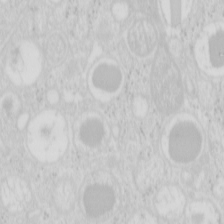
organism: Mouse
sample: Pancreas